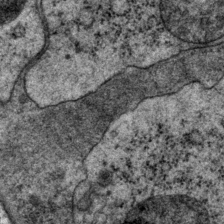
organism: P. pacificus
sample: Pharynx